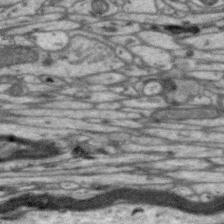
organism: Zebra finch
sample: Brain